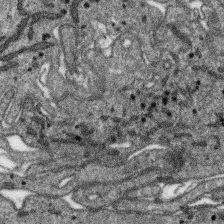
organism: Human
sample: Lung epithelial cells infected with SARS-CoV-2